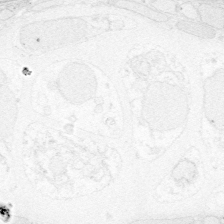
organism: Zebrafish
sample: Whole-Brain